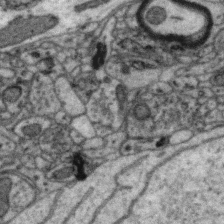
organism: Zebra finch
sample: Brain